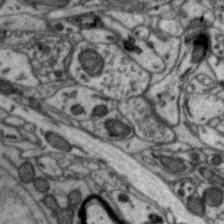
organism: Zebra finch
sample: Brain